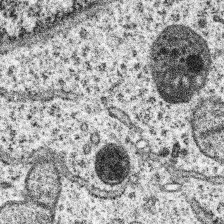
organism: Human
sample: HeLa cells